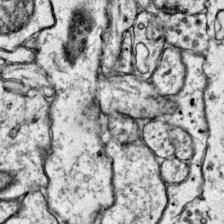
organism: Mouse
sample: Primary visual cortex